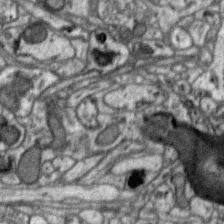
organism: Zebra finch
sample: Brain